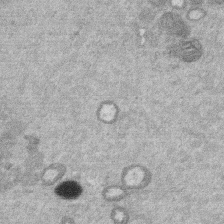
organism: Mouse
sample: Dividing mouse embryo 1 cell stage